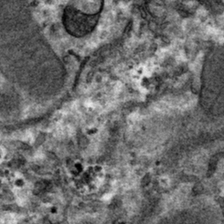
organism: Mouse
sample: Mouse hepatocytes